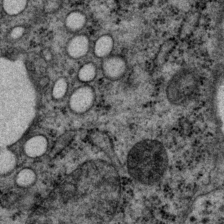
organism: P. pacificus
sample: Pharynx